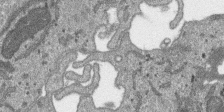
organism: Human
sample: Lung epithelial cells infected with SARS-CoV-2